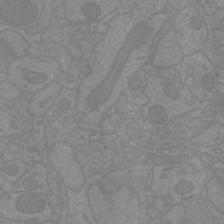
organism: Mouse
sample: Cortical neurons